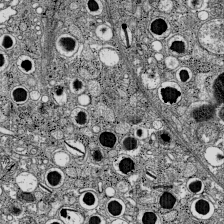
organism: C57BL Mouse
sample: Pancreatic islet